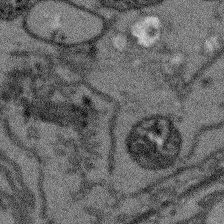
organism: Arabidopsis thaliana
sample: Root tip